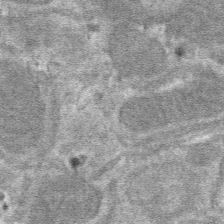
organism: Mouse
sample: Mouse hepatocytes